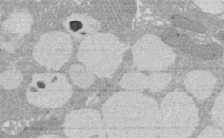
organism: Rat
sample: Salivary granule